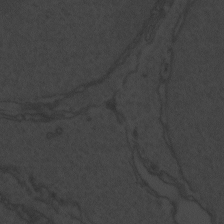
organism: Zebrafish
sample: Macrophage infected with Toxoplasma gondii